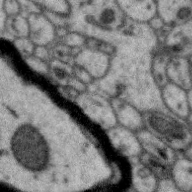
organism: Zebra finch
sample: Brain